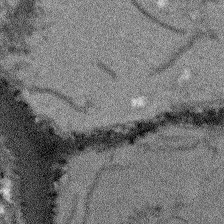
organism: Arabidopsis thaliana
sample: Root tip